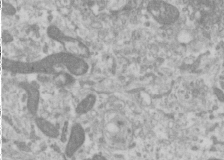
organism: Human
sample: Cilia; basal body in RPE cells